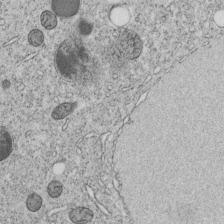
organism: C. elegans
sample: C. elegans embryo early stage